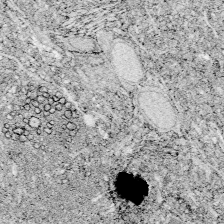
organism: Zebrafish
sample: Whole-Brain